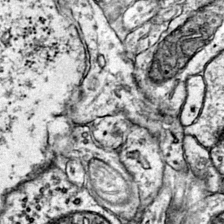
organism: Mouse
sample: Primary visual cortex